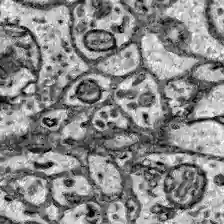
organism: Zebrafish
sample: Brain